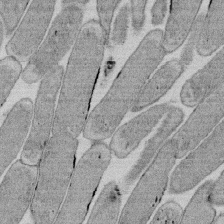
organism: E. coli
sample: Bacterial nucleoid